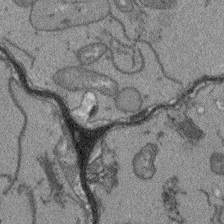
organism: Arabidopsis thaliana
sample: Root tip